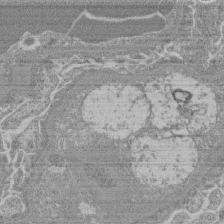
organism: Mouse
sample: Glomerulus